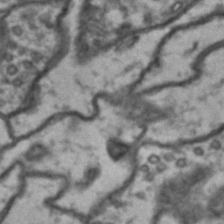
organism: Drosophila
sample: Brain